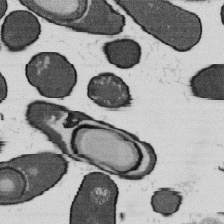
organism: B. subtilis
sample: Bacterial spore